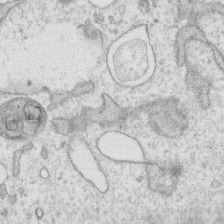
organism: Human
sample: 1205lu cells